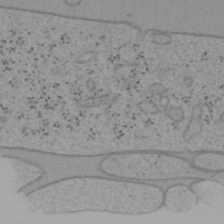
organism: Human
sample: HeLa cells